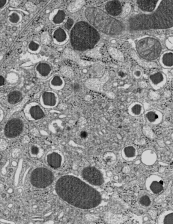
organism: C57BL Mouse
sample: Pancreatic islet